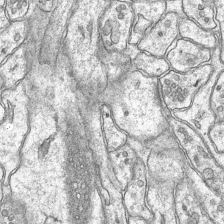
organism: Mouse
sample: CA1 Hippocampus